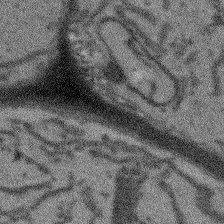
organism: Arabidopsis thaliana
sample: Root tip